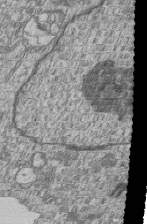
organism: Human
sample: MDA-MB-231 cells